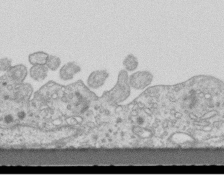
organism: Mouse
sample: Centriole in ependymal cells